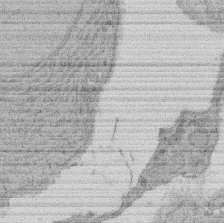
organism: Rat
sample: Salivary granule